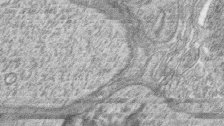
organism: Zebrafish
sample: synaptic ribbons in rod cells and cone cells